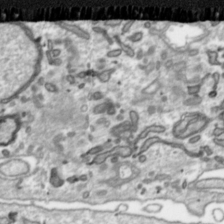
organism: Toxoplasma gondii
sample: Parasites in a vacuole inside a host cell